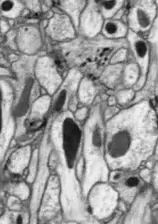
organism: Drosophila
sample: Optic lobe